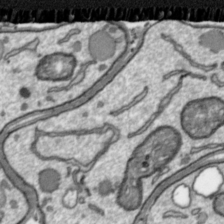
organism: Toxoplasma gondii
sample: Parasites in a vacuole inside a host cell